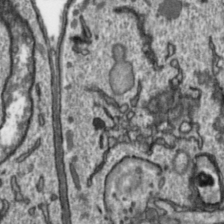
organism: Toxoplasma gondii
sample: Parasites in a vacuole inside a host cell